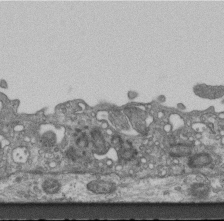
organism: Mouse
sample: Centriole in ependymal cells